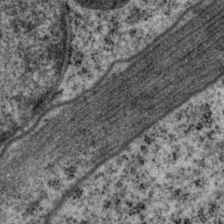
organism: P. pacificus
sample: Pharynx